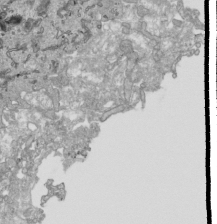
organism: Human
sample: Mitochondria in HCT116 cells